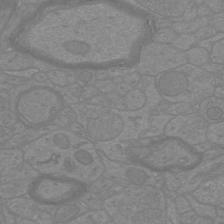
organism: Mouse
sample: Cortical neurons